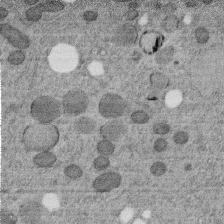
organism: C. elegans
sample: C. elegans embryo early stage